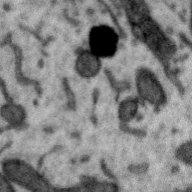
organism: Zebra finch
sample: Brain